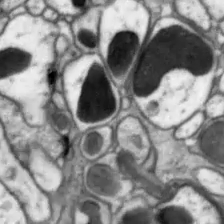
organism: Drosophila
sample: Optic lobe